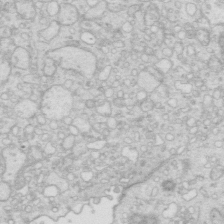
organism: Mouse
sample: Multiciliated cells